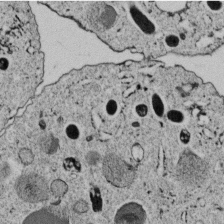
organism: C. elegans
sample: C. elegans embryo early stage